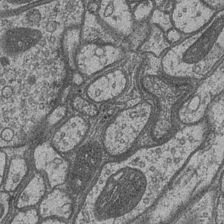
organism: Drosophila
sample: Optic medulla